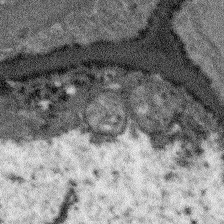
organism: Arabidopsis thaliana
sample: Root tip